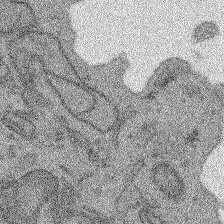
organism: Human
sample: HeLa cells